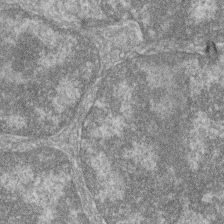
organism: Zebrafish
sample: Cilia; retinal pigment epithelium